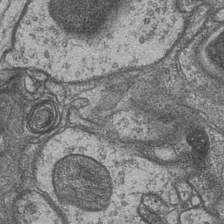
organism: Drosophila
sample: Optic medulla